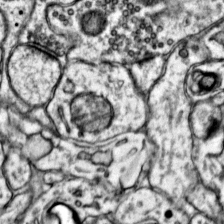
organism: Mouse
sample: Primary visual cortex